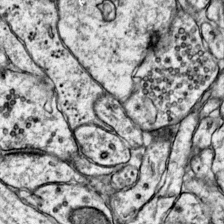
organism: Mouse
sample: Primary visual cortex